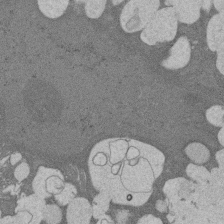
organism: Rat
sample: Salivary granule